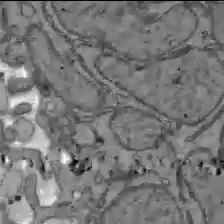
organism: C57BL Mouse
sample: Liver